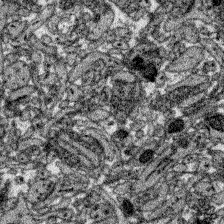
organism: Zebrafish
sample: Larval olfactory bulb